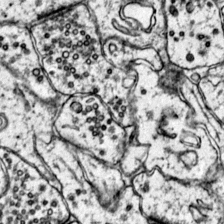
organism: Mouse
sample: Primary visual cortex